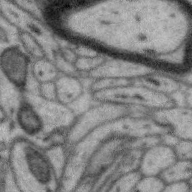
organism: Zebra finch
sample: Brain